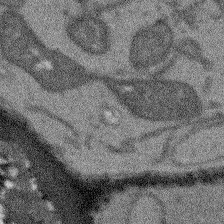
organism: Arabidopsis thaliana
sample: Root tip